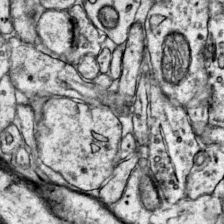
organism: Mouse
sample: Primary visual cortex